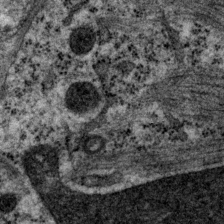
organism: P. pacificus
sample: Pharynx